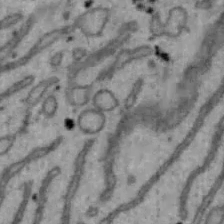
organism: Mouse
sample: Liver